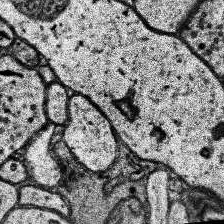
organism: Human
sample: Temporal Lobe